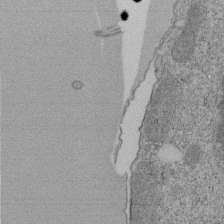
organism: Tetrahymena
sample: Cilia in tetrahymena